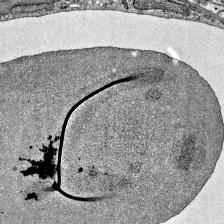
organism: Mouse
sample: Visual Cortex